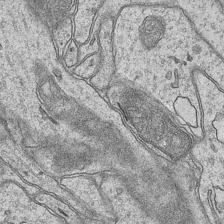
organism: Mouse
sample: CA1 Hippocampus